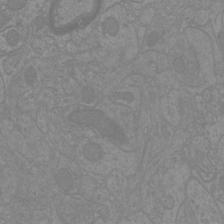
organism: Mouse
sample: Cortical neurons